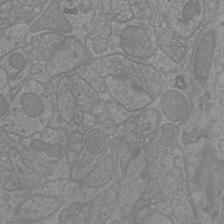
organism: Mouse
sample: Cortical neurons